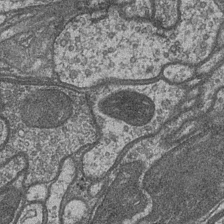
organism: Drosophila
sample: Optic medulla